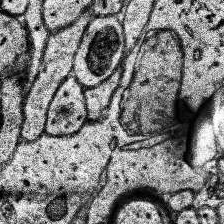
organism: Human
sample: Temporal Lobe